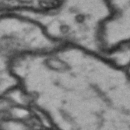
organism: Drosophila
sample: Brain